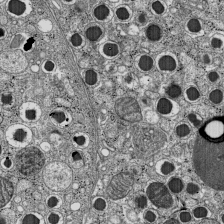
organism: C57BL Mouse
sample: Pancreatic islet